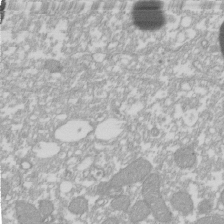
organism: Xenopus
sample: Cilia; centrioles in frog embryo cells